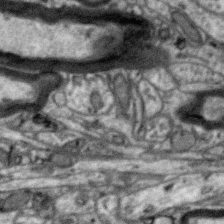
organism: Zebra finch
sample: Brain